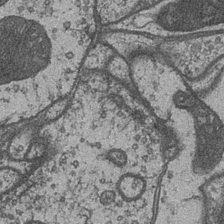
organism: Drosophila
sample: Optic medulla